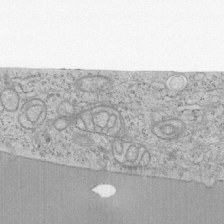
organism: Human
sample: HeLa cells